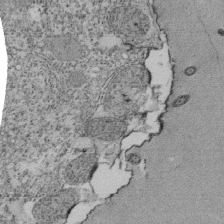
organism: Tetrahymena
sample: Cilia in tetrahymena